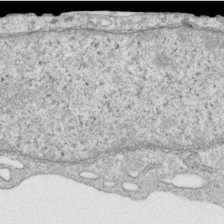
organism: Human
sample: Centriole in RPE cells